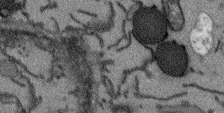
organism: Arabidopsis thaliana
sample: Root tip